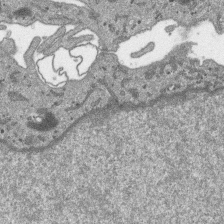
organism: Human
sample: Lung epithelial cells infected with SARS-CoV-2